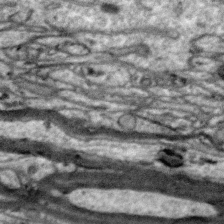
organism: Zebra finch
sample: Brain